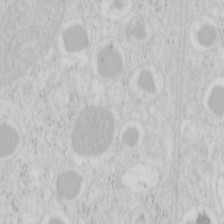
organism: Mouse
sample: Pancreas